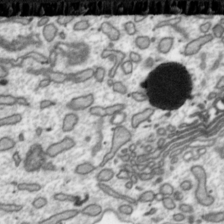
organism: Toxoplasma gondii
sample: Parasites in a vacuole inside a host cell